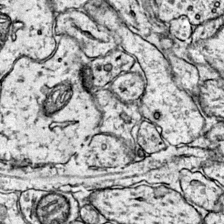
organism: Mouse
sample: Primary visual cortex